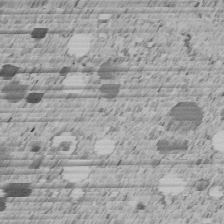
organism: C. elegans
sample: C. elegans embryo early stage